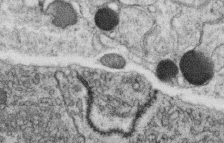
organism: C. elegans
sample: C. elegans oocyte; sperm cells